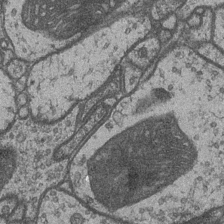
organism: Drosophila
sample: Optic medulla